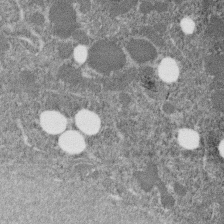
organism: C. elegans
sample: C. elegans embryo early stage